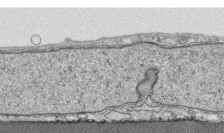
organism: Human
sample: CRL-1474